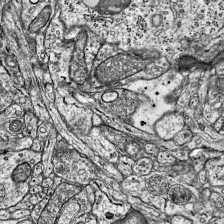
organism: Mouse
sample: Visual Cortex